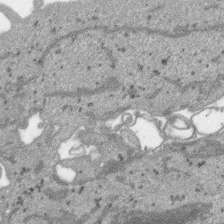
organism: Human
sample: Lung epithelial cells infected with SARS-CoV-2